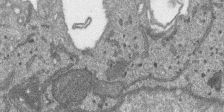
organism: Human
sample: Lung epithelial cells infected with SARS-CoV-2